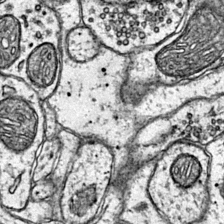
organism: Mouse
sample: Primary visual cortex